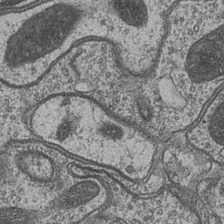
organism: Drosophila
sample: Optic medulla